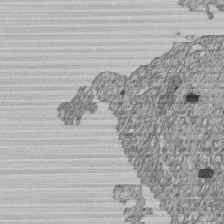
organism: Human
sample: MDA-MB-231 cells